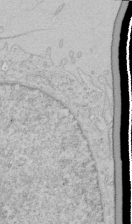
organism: Human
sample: Mitochondria in HCT116 cells